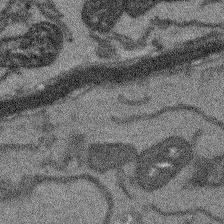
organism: Arabidopsis thaliana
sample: Root tip